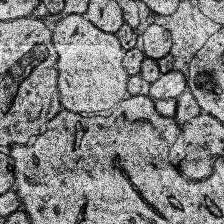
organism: Human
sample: Temporal Lobe